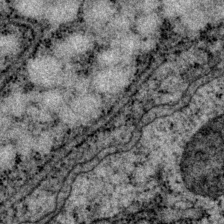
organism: P. pacificus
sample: Pharynx